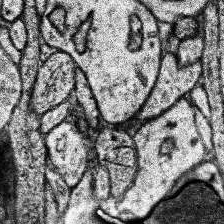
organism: Human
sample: Temporal Lobe